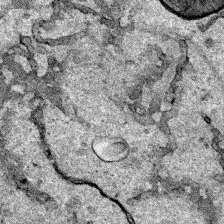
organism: Human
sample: Mitochondria in HCT116 cells